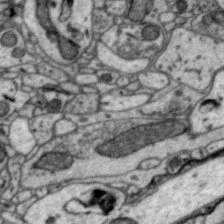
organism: Zebra finch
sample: Brain